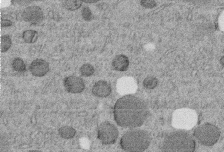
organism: C. elegans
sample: C. elegans embryo early stage